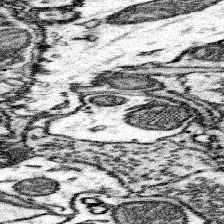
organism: Mouse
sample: Somatosensory cortex neuropil